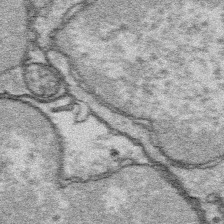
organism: Platynereis dumerilii